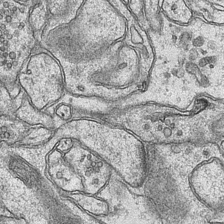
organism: Mouse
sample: CA1 Hippocampus